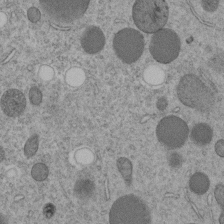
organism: C. elegans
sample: C. elegans embryo early stage